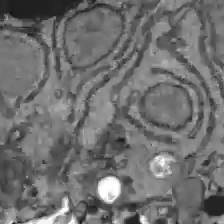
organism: C57BL Mouse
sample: Liver